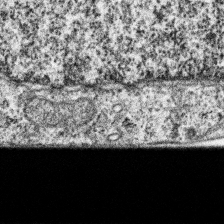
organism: Human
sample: HeLa cells